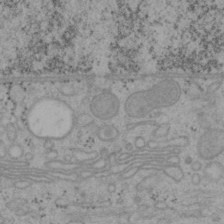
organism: Human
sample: HeLa cells